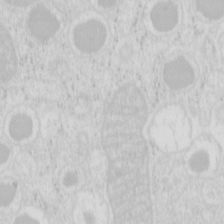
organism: Mouse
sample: Pancreas